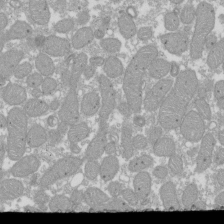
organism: Xenopus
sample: Cilia; centrioles in frog embryo cells